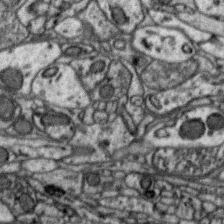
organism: Zebra finch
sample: Brain